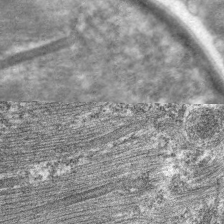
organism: C. elegans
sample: Pharynx